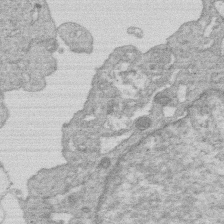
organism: Human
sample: Macrophage cells